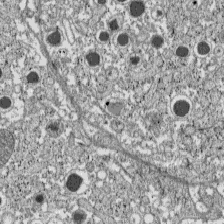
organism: C57BL Mouse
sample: Pancreatic islet